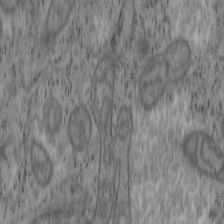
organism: Human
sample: HeLa cells